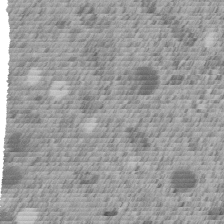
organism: C. elegans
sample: C. elegans embryo early stage